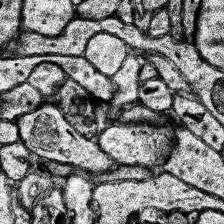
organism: Human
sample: Temporal Lobe